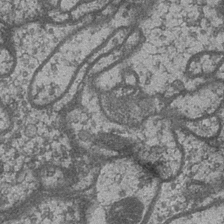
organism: Drosophila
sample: Optic medulla